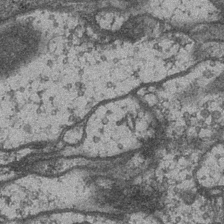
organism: Drosophila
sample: Optic medulla